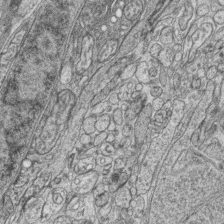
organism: Zebrafish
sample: synaptic ribbons in rod cells and cone cells